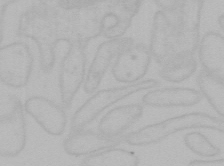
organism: Mouse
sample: Choroid plexus